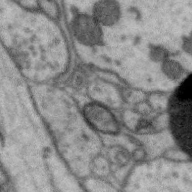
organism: Zebra finch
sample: Brain